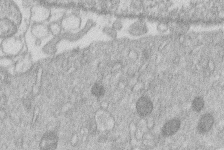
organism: Human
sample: Macrophage cells